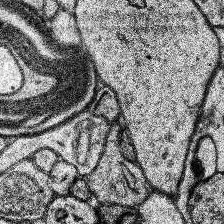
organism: Human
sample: Temporal Lobe